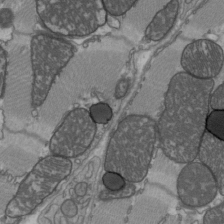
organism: C57BL Mouse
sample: Heart